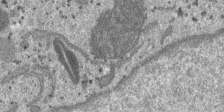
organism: Human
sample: Lung epithelial cells infected with SARS-CoV-2